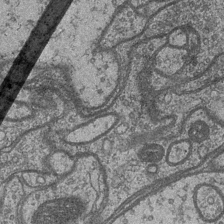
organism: Drosophila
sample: Optic medulla